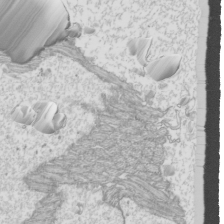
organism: Mouse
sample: Cilia; mouse epididymis